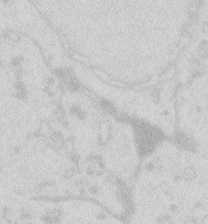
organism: Zebrafish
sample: Macrophage